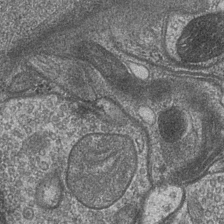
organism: Drosophila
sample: Optic medulla